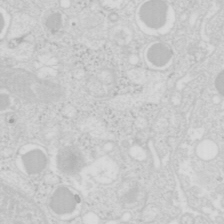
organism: Mouse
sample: Pancreas